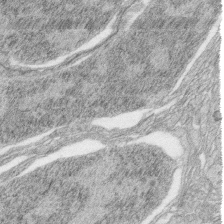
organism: Zebrafish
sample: synaptic ribbons in rod cells and cone cells